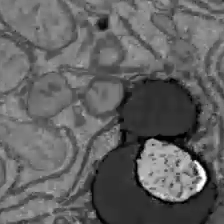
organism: C57BL Mouse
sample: Liver